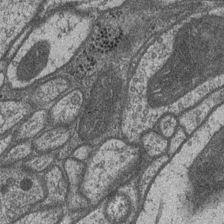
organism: Drosophila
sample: Optic medulla